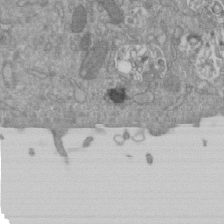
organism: Mouse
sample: ED-1 cell nuclei; centrioles